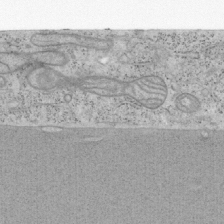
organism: Human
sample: HeLa cells